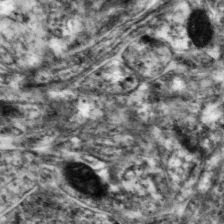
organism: Mouse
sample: Neocortex